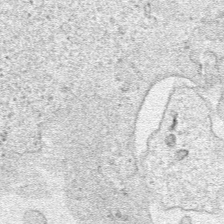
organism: Human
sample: Mitochondria in HCT116 cells